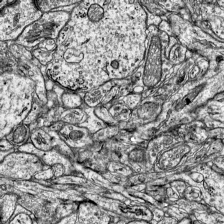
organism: Mouse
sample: Visual Cortex